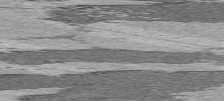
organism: C57BL Mouse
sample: Heart